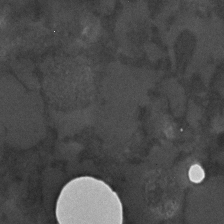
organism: C. elegans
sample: C. elegans embryo